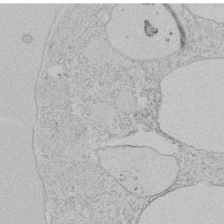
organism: Tetrahymena